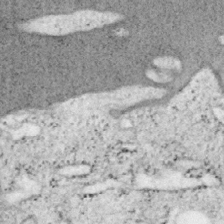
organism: Mouse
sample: OT-I killer T cells with ID8 ovarian cancer cells